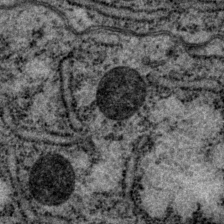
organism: P. pacificus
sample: Pharynx